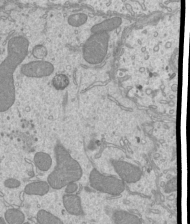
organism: Mouse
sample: Cilia; mouse epididymis